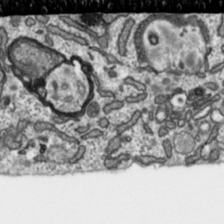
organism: Toxoplasma gondii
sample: Parasites in a vacuole inside a host cell